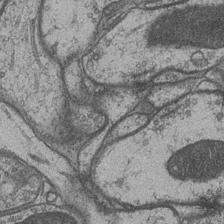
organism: Drosophila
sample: Optic medulla